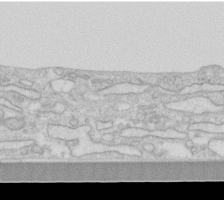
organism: Human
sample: Fibroblast cells